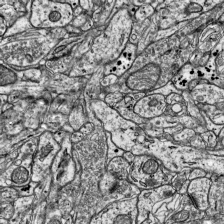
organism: Mouse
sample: Visual Cortex